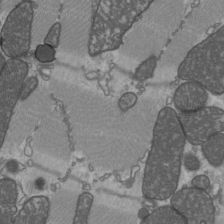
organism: C57BL Mouse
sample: Heart